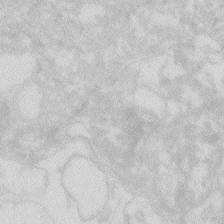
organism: Zebrafish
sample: Macrophage